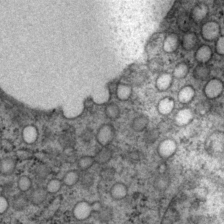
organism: P. pacificus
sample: Pharynx